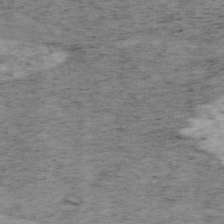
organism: Mouse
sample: OT-I killer T cells with ID8 ovarian cancer cells